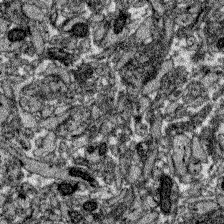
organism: Zebrafish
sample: Larval olfactory bulb